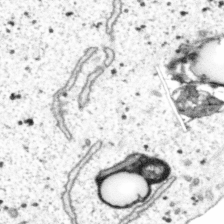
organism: Human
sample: HeLa cells